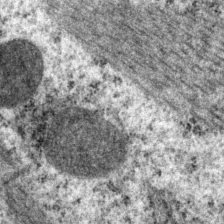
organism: P. pacificus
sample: Pharynx